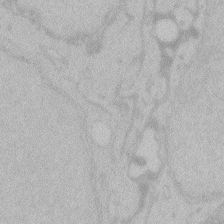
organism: Zebrafish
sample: Macrophage infected with Toxoplasma gondii